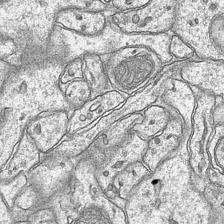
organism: Mouse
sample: CA1 Hippocampus